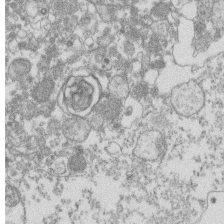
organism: Human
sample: HeLa cell HIV synapse